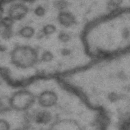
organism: Drosophila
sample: Brain